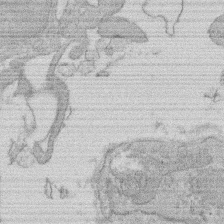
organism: Rat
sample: Salivary granule